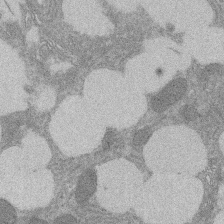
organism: Rat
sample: Salivary granule